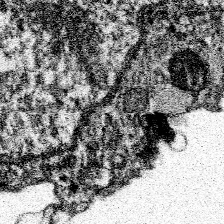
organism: Spongilla lacustris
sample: Neuroid cell